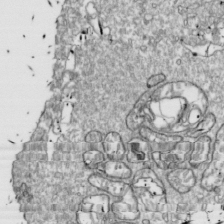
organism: Drosophila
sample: Cell division; meiosis; drosophila spermatocytes